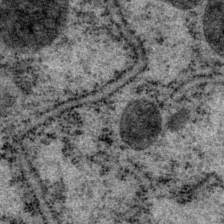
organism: P. pacificus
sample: Pharynx